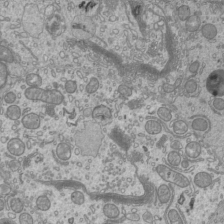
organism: Mouse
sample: Cilia; mouse epididymis